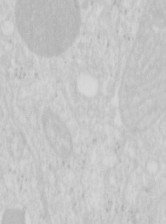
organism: Mouse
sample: Pancreas